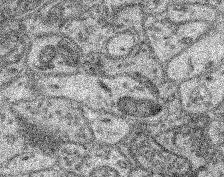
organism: Mouse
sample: Retina